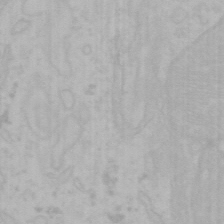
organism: Mouse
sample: Choroid plexus